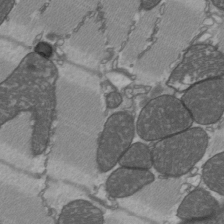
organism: C57BL Mouse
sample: Heart